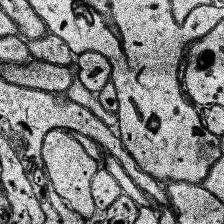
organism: Human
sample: Temporal Lobe